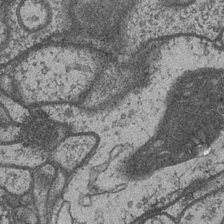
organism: Drosophila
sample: Optic medulla